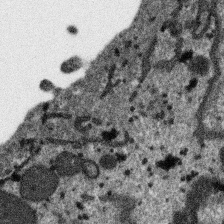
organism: Human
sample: Lung epithelial cells infected with SARS-CoV-2